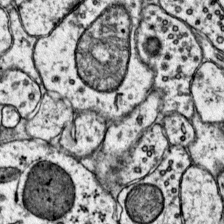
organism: Mouse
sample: Primary visual cortex